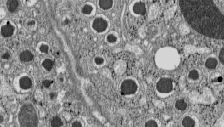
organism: C57BL Mouse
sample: Pancreatic islet